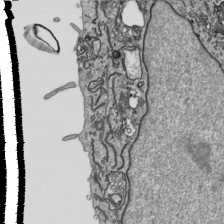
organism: Human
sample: Mitochondria in HCT116 cells